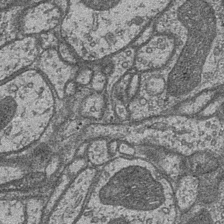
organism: Drosophila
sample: Optic medulla